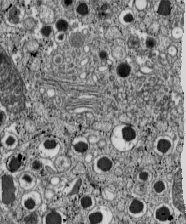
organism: C57BL Mouse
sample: Pancreatic islet